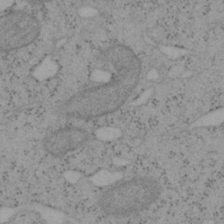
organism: Mouse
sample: OT-I killer T cells with ID8 ovarian cancer cells